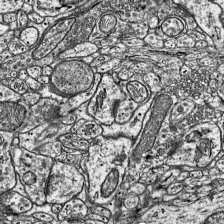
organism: Mouse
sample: Visual Cortex